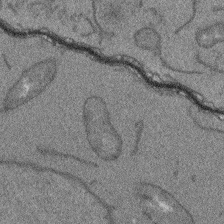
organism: Arabidopsis thaliana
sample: Root tip